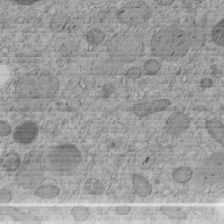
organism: C. elegans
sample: C. elegans embryo early stage